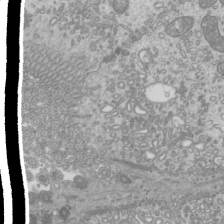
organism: Mouse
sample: Cilia; mouse epididymis